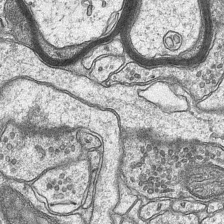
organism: Mouse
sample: CA1 Hippocampus